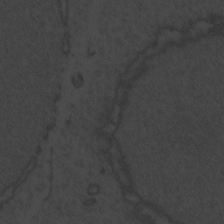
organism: Zebrafish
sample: Macrophage infected with Toxoplasma gondii